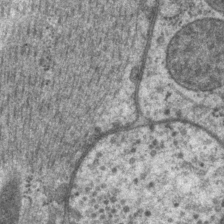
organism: P. pacificus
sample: Pharynx